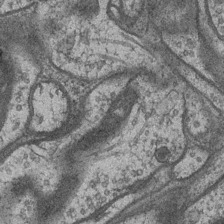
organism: Drosophila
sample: Optic medulla